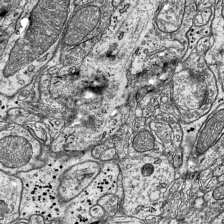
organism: Mouse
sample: Visual Cortex